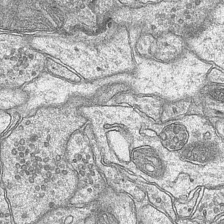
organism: Mouse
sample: CA1 Hippocampus